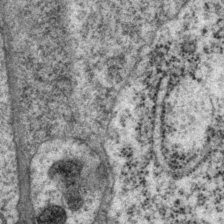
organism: P. pacificus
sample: Pharynx